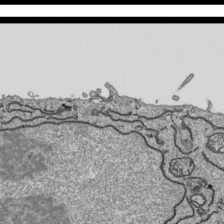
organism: Human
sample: Mitochondria in HCT116 cells